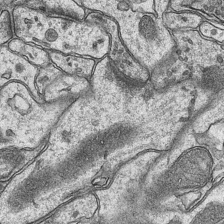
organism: Mouse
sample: CA1 Hippocampus